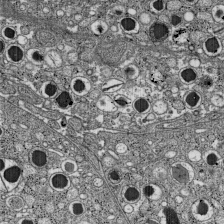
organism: C57BL Mouse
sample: Pancreatic islet